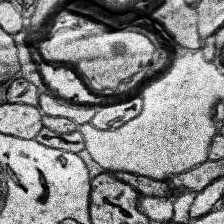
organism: Human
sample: Temporal Lobe